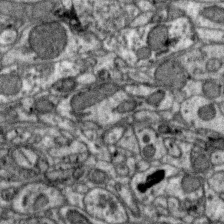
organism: Zebra finch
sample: Brain